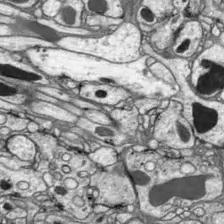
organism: Drosophila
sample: Optic lobe